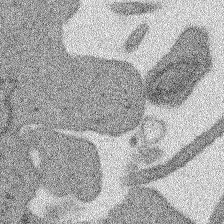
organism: Human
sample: HeLa cells